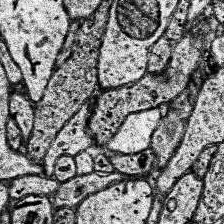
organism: Human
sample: Temporal Lobe